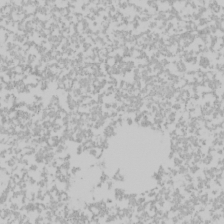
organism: Mouse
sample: Cancer cell death in ED-1 cells